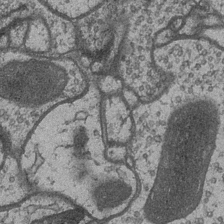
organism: Drosophila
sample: Optic medulla